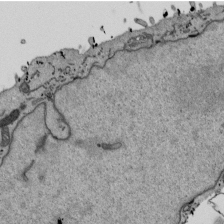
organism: Mouse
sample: ED-1 cell nuclei; centrioles